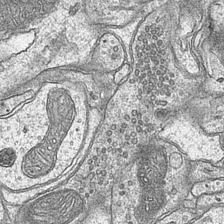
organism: Mouse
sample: CA1 Hippocampus